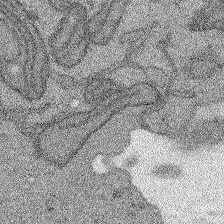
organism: Human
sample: HeLa cells